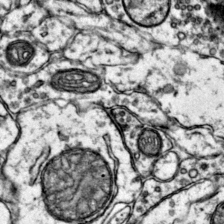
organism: Mouse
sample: Primary visual cortex